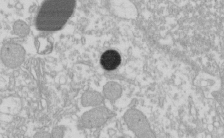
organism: Xenopus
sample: Cilia; centrioles in frog embryo cells